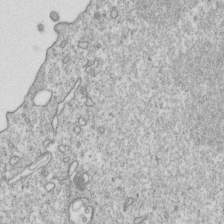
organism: Mouse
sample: Activated OT-1 CD8+ T cells